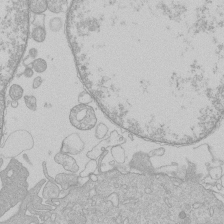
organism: Human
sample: Macrophage cells